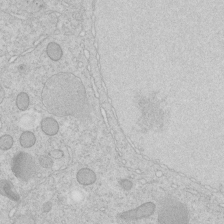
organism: C. elegans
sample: C. elegans embryo early stage